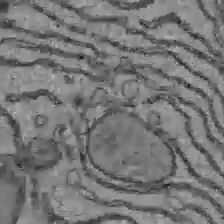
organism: C57BL Mouse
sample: Liver